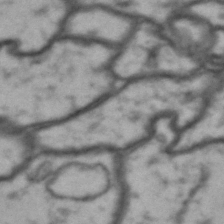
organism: Drosophila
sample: Brain